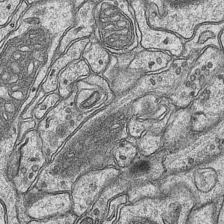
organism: Mouse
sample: CA1 Hippocampus